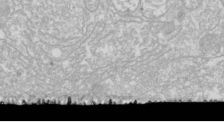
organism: Drosophila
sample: Cell division; meiosis; drosophila spermatocytes